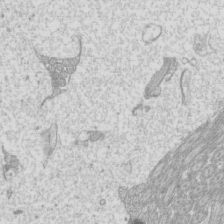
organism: Mouse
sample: Cilia; mouse epididymis